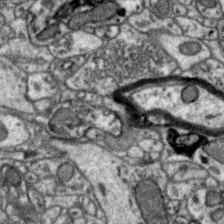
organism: Zebra finch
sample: Brain